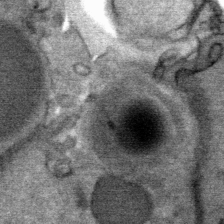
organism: Mouse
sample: Mouse Salivary gland